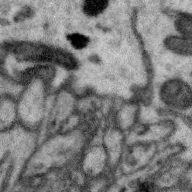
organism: Zebra finch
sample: Brain